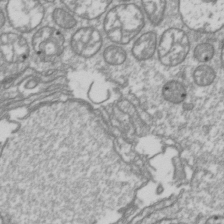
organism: Drosophila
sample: Cell division; meiosis; drosophila spermatocytes